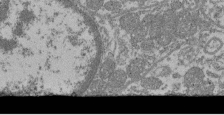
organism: Mouse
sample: Glomerulus